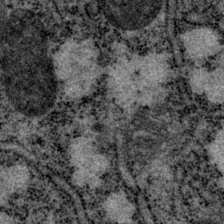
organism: P. pacificus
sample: Pharynx